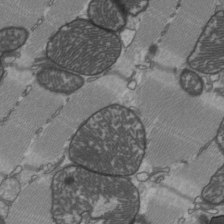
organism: C57BL Mouse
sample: Heart